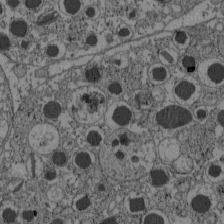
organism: C57BL Mouse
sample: Pancreatic islet